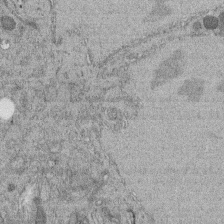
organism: C. elegans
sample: C. elegans embryo early stage